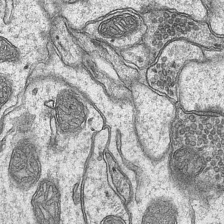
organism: Mouse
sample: CA1 Hippocampus